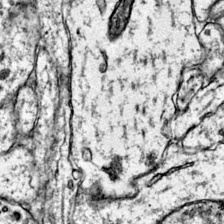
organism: Mouse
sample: Primary visual cortex